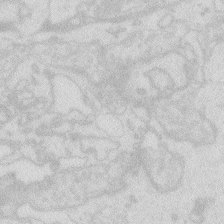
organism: Zebrafish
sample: Macrophage